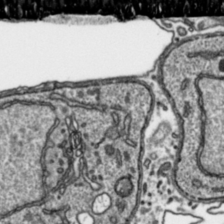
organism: Toxoplasma gondii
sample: Parasites in a vacuole inside a host cell